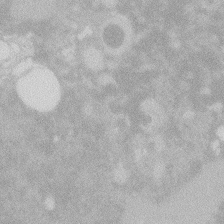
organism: Zebrafish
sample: Macrophage